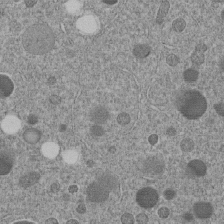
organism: C. elegans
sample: C. elegans embryo early stage